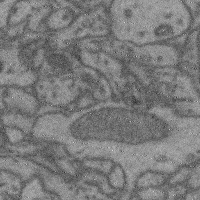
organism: Mouse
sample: Cerebral cortex